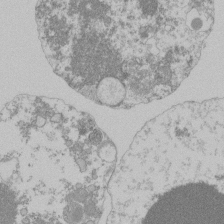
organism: Mouse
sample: Activated Pmel transgenic CD8+ T Cells